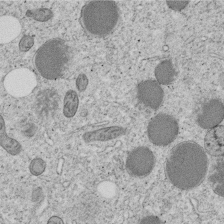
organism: C. elegans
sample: C. elegans embryo early stage